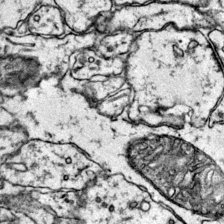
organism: Mouse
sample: Primary visual cortex